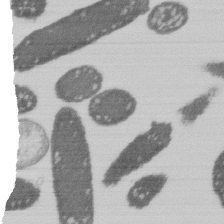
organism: E. coli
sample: Bacterial nucleoid